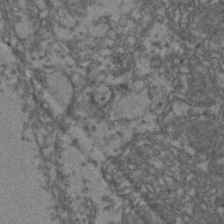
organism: Zebrafish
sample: Zebrafish embryo